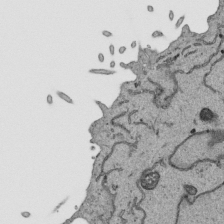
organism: Human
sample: Mitochondria in HCT116 cells